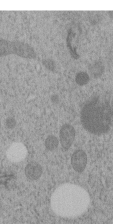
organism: C. elegans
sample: C. elegans embryo early stage